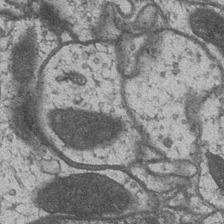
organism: Drosophila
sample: Optic medulla